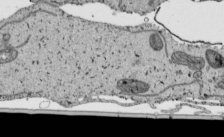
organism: Human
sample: Mitochondria in HCT116 cells